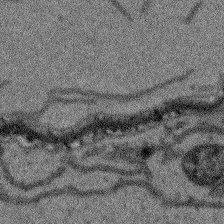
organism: Arabidopsis thaliana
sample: Root tip